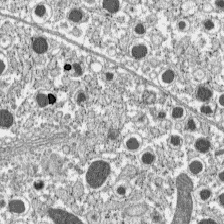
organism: C57BL Mouse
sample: Pancreatic islet